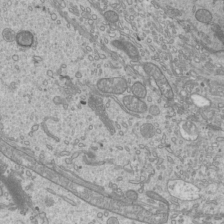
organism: Mouse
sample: Cilia; mouse epididymis